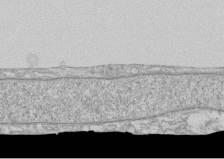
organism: Human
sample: CRL-1474